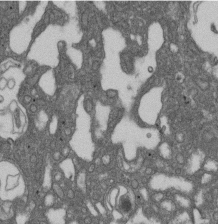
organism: Drosophila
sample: Nephrocyte